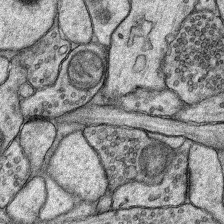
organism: Rat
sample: Hippocampus